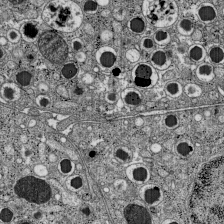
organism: C57BL Mouse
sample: Pancreatic islet